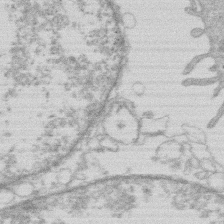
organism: Human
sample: Macrophage cells